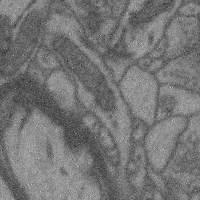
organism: Mouse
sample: Cerebral cortex